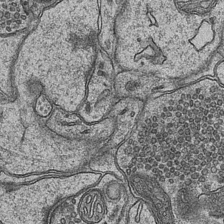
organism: Mouse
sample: CA1 Hippocampus